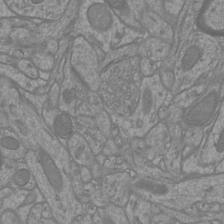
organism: Mouse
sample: Cortical neurons